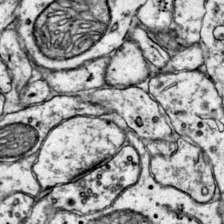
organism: Mouse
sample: Primary visual cortex